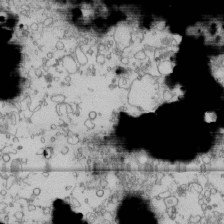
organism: Human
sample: Fibroblast cells